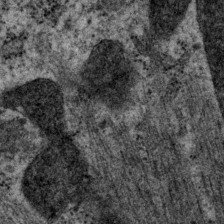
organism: P. pacificus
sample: Pharynx